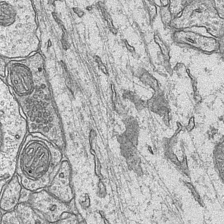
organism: Mouse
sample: CA1 Hippocampus